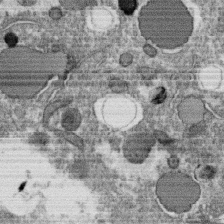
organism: C. elegans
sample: C. elegans oocyte; sperm cells